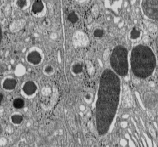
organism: C57BL Mouse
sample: Pancreatic islet